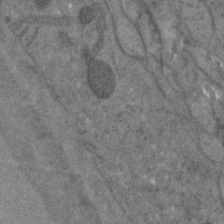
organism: C. elegans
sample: C. elegans embryo